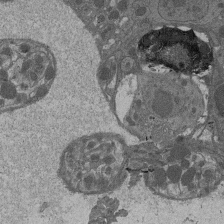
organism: Drosophila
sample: Antenna